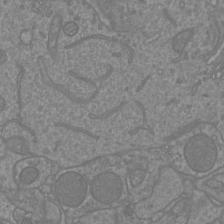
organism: Mouse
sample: Cortical neurons